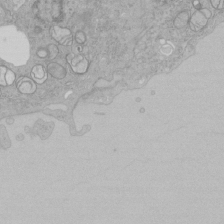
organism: Human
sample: Mitochondria in HCT116 cells